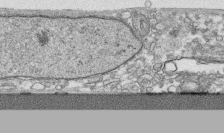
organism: Human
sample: CRL-1474